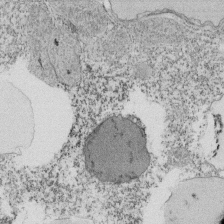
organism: Tetrahymena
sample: Cilia in tetrahymena